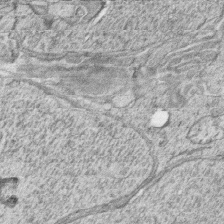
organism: Zebrafish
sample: synaptic ribbons in rod cells and cone cells